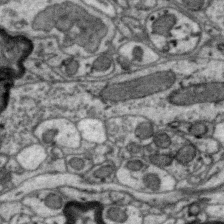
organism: Zebra finch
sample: Brain